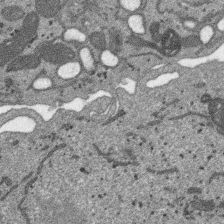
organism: Human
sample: Lung epithelial cells infected with SARS-CoV-2